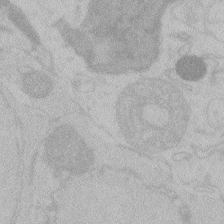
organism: Zebrafish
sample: Macrophage infected with Toxoplasma gondii